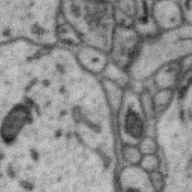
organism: Zebra finch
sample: Brain